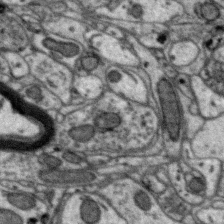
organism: Zebra finch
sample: Brain